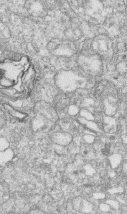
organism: Human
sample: HeLa cell HIV synapse